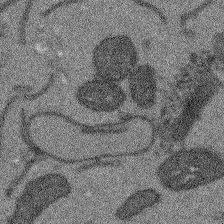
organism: Arabidopsis thaliana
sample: Root tip